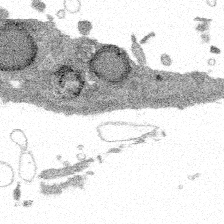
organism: Spongilla lacustris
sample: Multiple